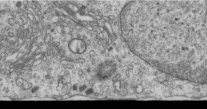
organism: Human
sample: Centriole in RPE cells